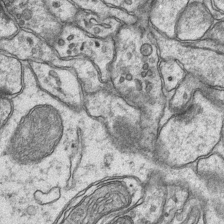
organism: Mouse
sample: CA1 Hippocampus